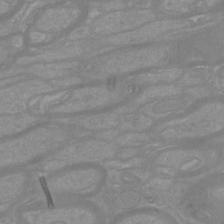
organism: Mouse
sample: Cortical neurons